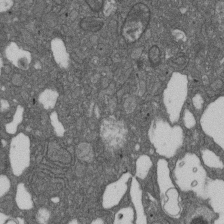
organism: Drosophila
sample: Nephrocyte